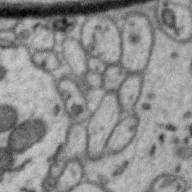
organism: Zebra finch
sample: Brain